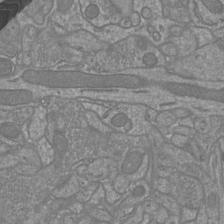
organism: Mouse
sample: Cortical neurons